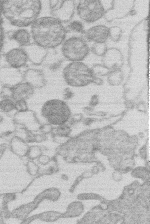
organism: Human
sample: Macrophage cells